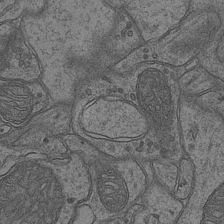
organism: Mouse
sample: CA1 Hippocampus